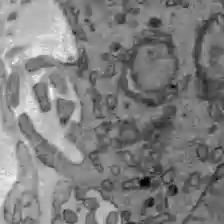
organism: C57BL Mouse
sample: Liver